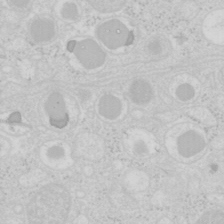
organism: Mouse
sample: Pancreas